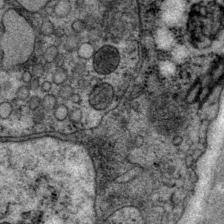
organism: P. pacificus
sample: Pharynx